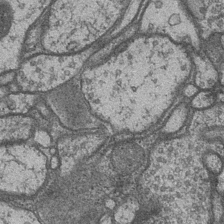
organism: Drosophila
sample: Optic medulla